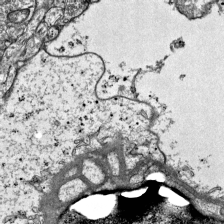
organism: Mouse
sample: Visual Cortex